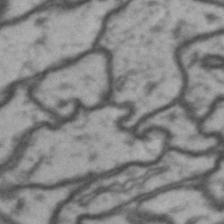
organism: Drosophila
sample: Brain